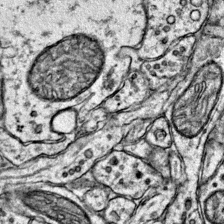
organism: Mouse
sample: Primary visual cortex